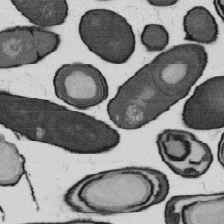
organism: B. subtilis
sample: Bacterial spore